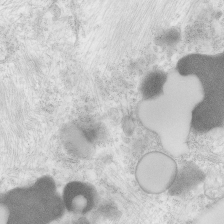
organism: Human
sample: Neocortex